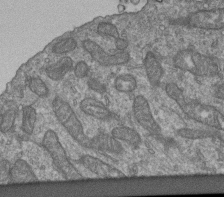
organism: Human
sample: Retinal organoid Rod and Cone cells